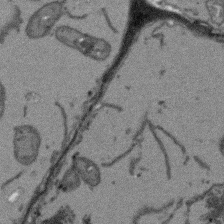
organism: Arabidopsis thaliana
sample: Root tip